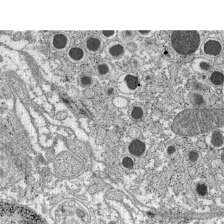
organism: C57BL Mouse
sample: Pancreatic islet